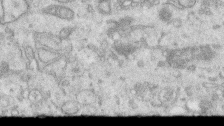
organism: Human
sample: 1205lu cells